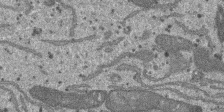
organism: Human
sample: Lung epithelial cells infected with SARS-CoV-2